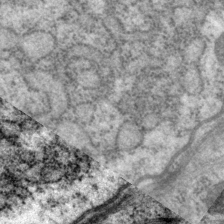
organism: P. pacificus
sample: Pharynx